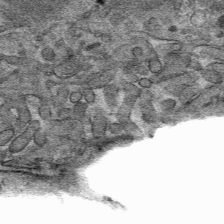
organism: Mouse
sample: Mouse hepatocytes